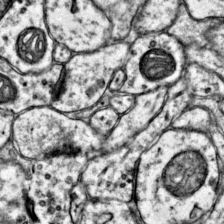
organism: Mouse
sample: Primary visual cortex